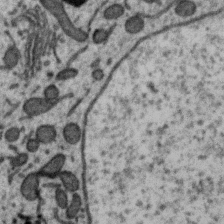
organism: Zebra finch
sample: Brain